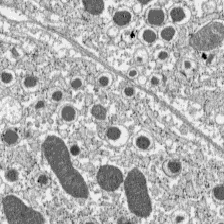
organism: C57BL Mouse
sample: Pancreatic islet